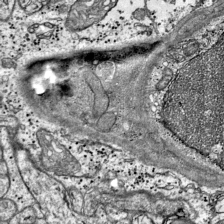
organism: Mouse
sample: Visual Cortex